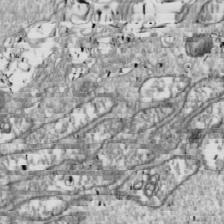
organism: Drosophila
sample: Cell division; meiosis; drosophila spermatocytes